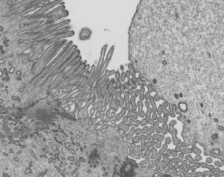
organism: Mouse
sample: Mouse epididymis efferent ductule cilia